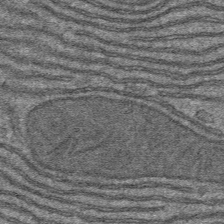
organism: Mouse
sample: Mouse hepatocytes